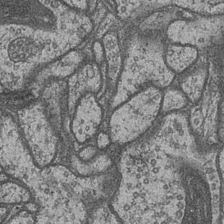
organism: Drosophila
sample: Optic medulla